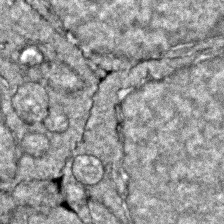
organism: Zebrafish